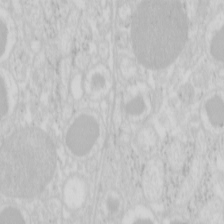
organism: Mouse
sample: Pancreas